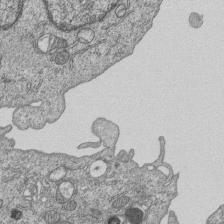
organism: Human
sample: MDA-MB-231 cells